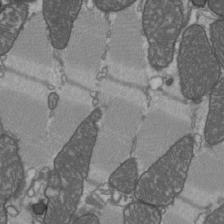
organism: C57BL Mouse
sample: Heart